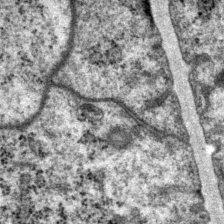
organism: P. pacificus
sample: Pharynx